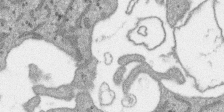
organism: Human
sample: Lung epithelial cells infected with SARS-CoV-2